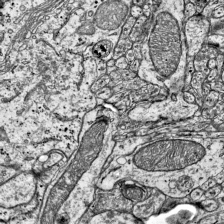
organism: Mouse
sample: Visual Cortex